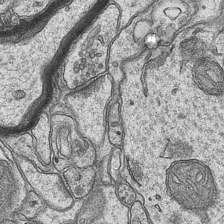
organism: Mouse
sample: CA1 Hippocampus